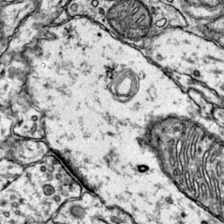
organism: Mouse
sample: Primary visual cortex